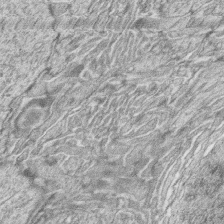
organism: Zebrafish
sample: synaptic ribbons in rod cells and cone cells